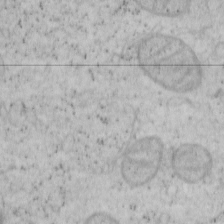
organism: Human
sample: HeLa cells